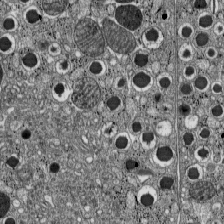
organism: C57BL Mouse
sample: Pancreatic islet